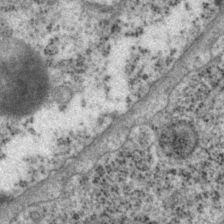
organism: P. pacificus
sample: Pharynx